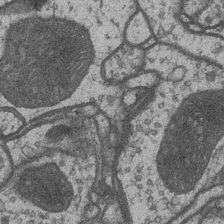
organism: Drosophila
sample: Optic medulla